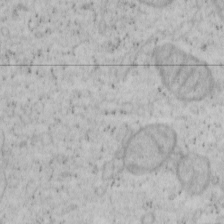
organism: Human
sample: HeLa cells